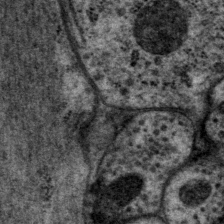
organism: P. pacificus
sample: Pharynx